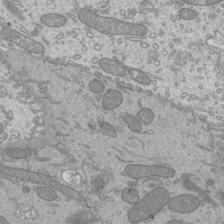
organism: Mouse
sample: Cilia; mouse epididymis